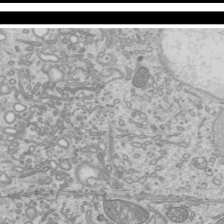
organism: Mouse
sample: Cilia; mouse epididymis